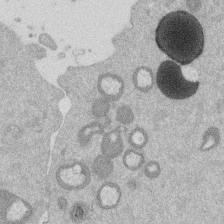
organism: Mouse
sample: Dividing mouse embryo 1 cell stage